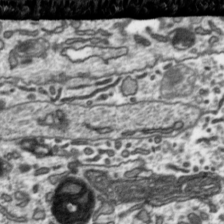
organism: Toxoplasma gondii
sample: Parasites in a vacuole inside a host cell